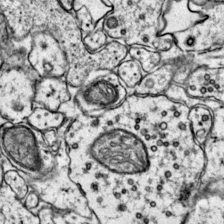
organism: Mouse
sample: Primary visual cortex